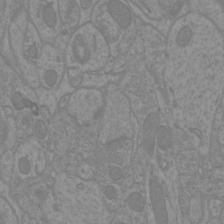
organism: Mouse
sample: Cortical neurons